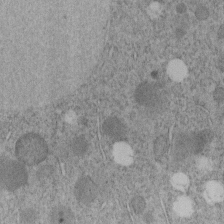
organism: C. elegans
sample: C. elegans embryo early stage